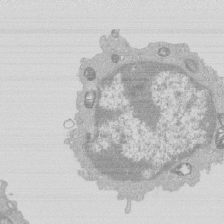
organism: Mouse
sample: Activated Pmel transgenic CD8+ T Cells